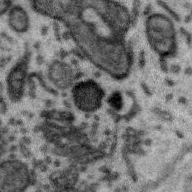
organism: Zebra finch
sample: Brain